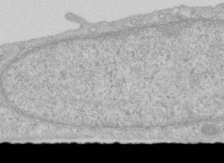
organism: Human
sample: Centriole in RPE cells